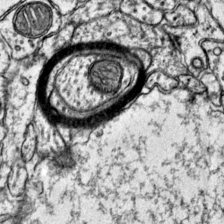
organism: Mouse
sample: Primary visual cortex